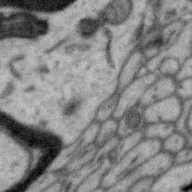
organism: Zebra finch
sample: Brain